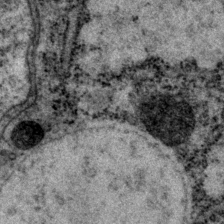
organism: P. pacificus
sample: Pharynx